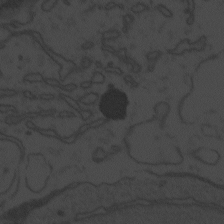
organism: Zebrafish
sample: Macrophage infected with Toxoplasma gondii